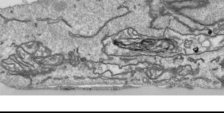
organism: Human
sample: Mitochondria in HCT116 cells